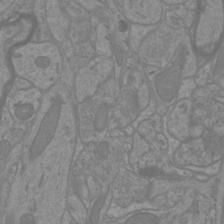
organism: Mouse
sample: Cortical neurons